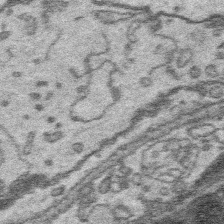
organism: Platynereis dumerilii